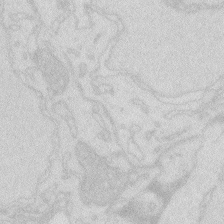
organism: Zebrafish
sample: Macrophage